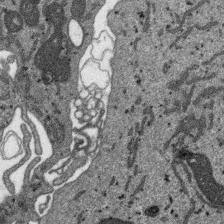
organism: Human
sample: Lung epithelial cells infected with SARS-CoV-2